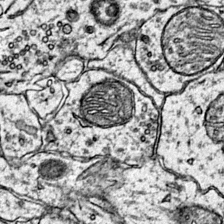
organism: Mouse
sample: Primary visual cortex